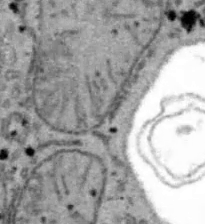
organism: Mouse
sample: Liver from an obese (ob/ob) mouse